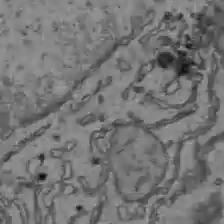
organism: C57BL Mouse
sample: Liver